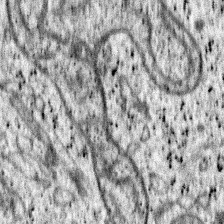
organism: Human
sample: HeLa cells